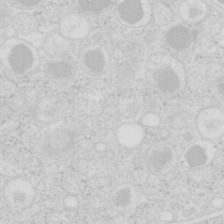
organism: Mouse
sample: Pancreas